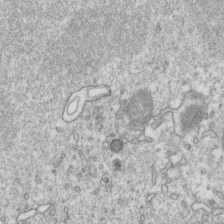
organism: Mouse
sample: Activated OT-1 CD8+ T cells